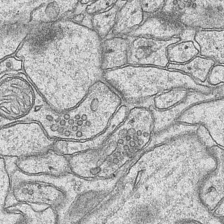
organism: Mouse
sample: CA1 Hippocampus